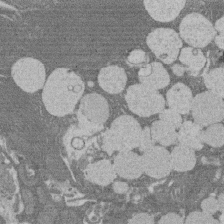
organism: Rat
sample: Salivary granule